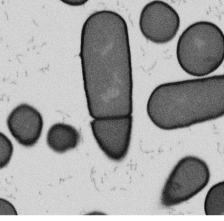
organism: B. subtilis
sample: Bacterial spore